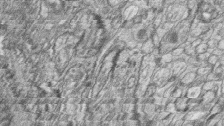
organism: Zebrafish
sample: synaptic ribbons in rod cells and cone cells